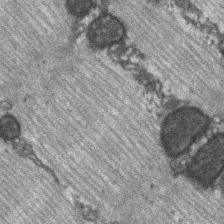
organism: C57BL Mouse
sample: Soleus